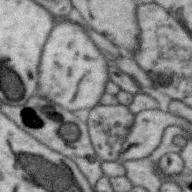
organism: Zebra finch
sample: Brain